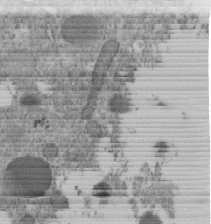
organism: C. elegans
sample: C. elegans embryo early stage